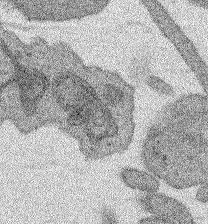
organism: Human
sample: HeLa cells